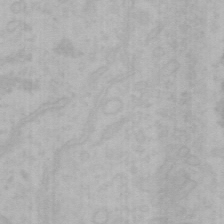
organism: Mouse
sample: Choroid plexus